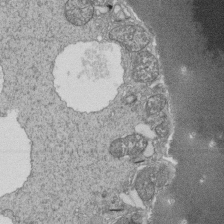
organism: Tetrahymena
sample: Cilia in tetrahymena